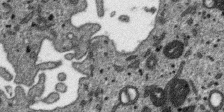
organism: Human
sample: Lung epithelial cells infected with SARS-CoV-2